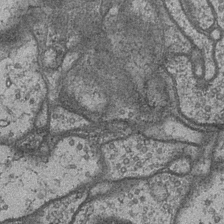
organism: Drosophila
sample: Optic medulla